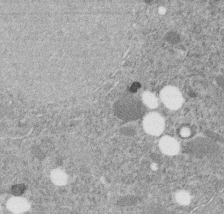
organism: C. elegans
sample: C. elegans embryo early stage